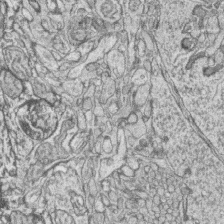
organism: Zebrafish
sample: synaptic ribbons in rod cells and cone cells